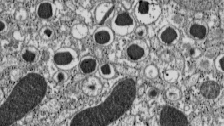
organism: C57BL Mouse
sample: Pancreatic islet